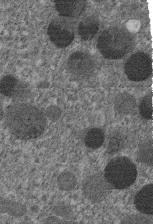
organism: C. elegans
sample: C. elegans embryo early stage